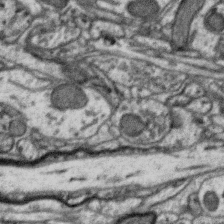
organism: Zebra finch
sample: Brain